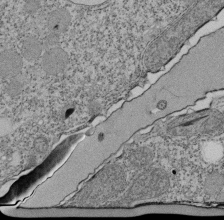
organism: Tetrahymena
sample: Cilia in tetrahymena